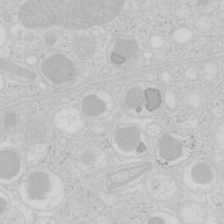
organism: Mouse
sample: Pancreas